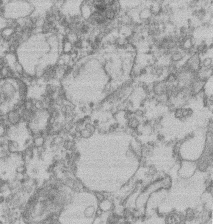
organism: Mouse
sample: T cell stromal cell synapse